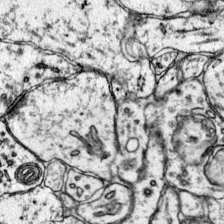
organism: Mouse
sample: Primary visual cortex